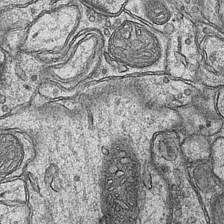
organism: Mouse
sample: CA1 Hippocampus